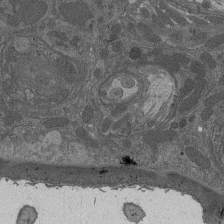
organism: Drosophila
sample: Antenna